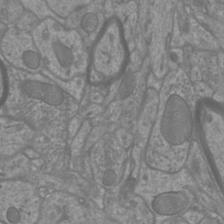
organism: Mouse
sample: Cortical neurons